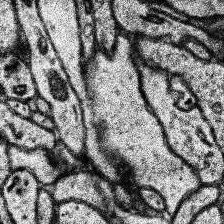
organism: Human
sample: Temporal Lobe